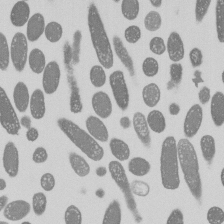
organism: E. coli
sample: Bacterial nucleoid